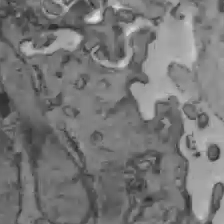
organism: C57BL Mouse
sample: Liver